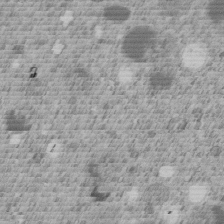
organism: C. elegans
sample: C. elegans embryo early stage